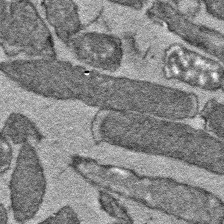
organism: E. coli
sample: E. Coli Bacteria